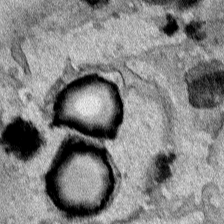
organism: Human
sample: Mitochondria in HCT116 cells